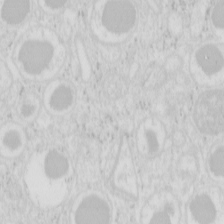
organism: Mouse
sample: Pancreas